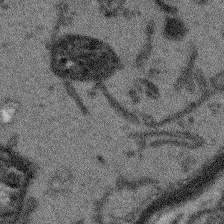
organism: Arabidopsis thaliana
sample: Root tip